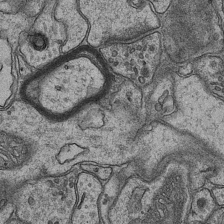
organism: Mouse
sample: CA1 Hippocampus